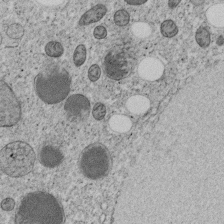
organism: C. elegans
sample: C. elegans embryo early stage